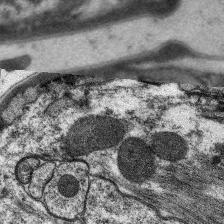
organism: C. elegans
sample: Pharynx